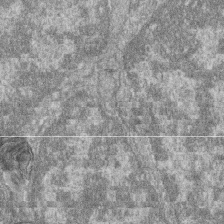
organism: Zebrafish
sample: Cilia; retinal pigment epithelium